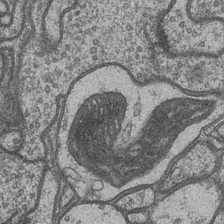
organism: Drosophila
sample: Optic medulla